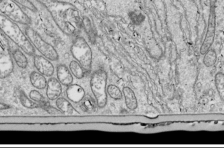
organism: Drosophila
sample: Cell division; meiosis; drosophila spermatocytes